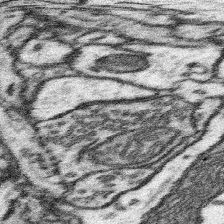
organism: Mouse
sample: Somatosensory cortex neuropil